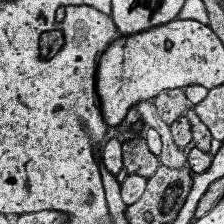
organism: Human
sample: Temporal Lobe